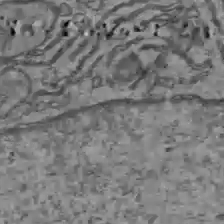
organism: C57BL Mouse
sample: Liver